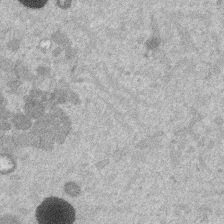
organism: Mouse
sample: Dividing mouse embryo 1 cell stage